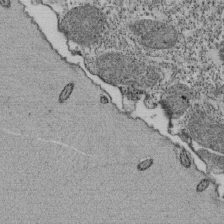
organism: Tetrahymena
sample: Cilia in tetrahymena